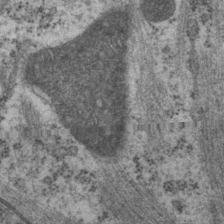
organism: P. pacificus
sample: Pharynx